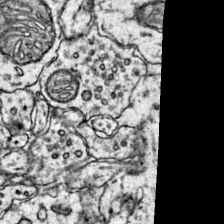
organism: Mouse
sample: Primary visual cortex